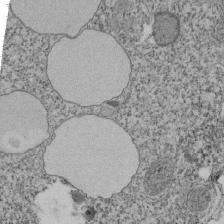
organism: Tetrahymena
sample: Cilia in tetrahymena